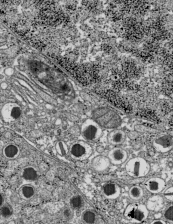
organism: C57BL Mouse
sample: Pancreatic islet